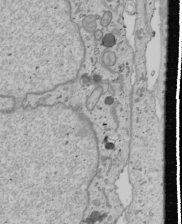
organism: Human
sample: Mitochondria in U2OS cells